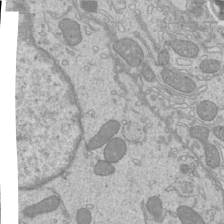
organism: Mouse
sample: Cilia; mouse epididymis